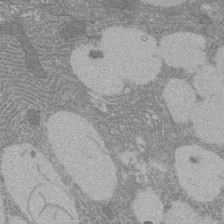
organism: Rat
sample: Salivary granule